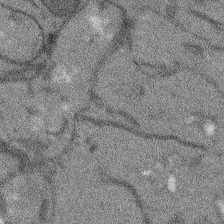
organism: Arabidopsis thaliana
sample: Root tip